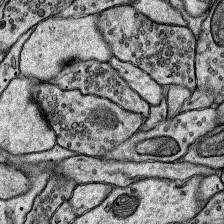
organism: Rat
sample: Hippocampus